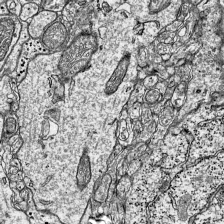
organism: Mouse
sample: Visual Cortex